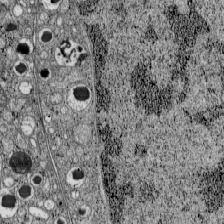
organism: C57BL Mouse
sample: Pancreatic islet